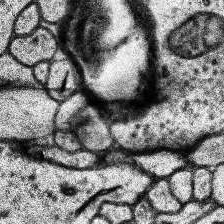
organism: Human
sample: Temporal Lobe